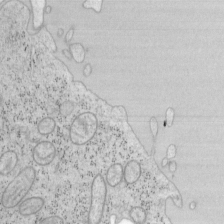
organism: Mouse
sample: OT-I killer T cells with ID8 ovarian cancer cells